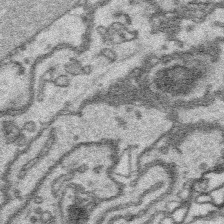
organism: Platynereis dumerilii